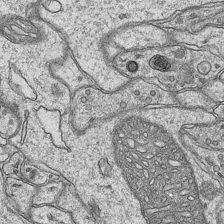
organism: Mouse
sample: CA1 Hippocampus